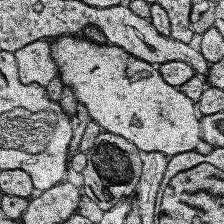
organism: Human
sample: Temporal Lobe